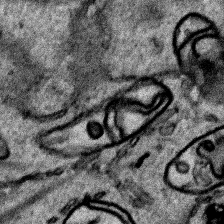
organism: Human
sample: Mitochondria in HCT116 cells